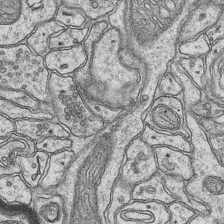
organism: Mouse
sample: CA1 Hippocampus